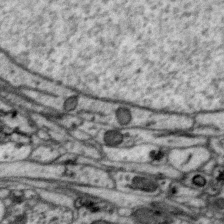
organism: Zebra finch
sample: Brain